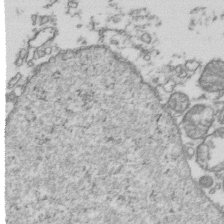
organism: Human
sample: Activated Jurkat CD4+ T cells